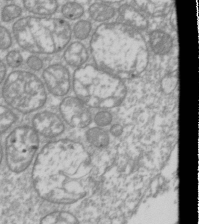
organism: Drosophila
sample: Cell division; meiosis; drosophila spermatocytes